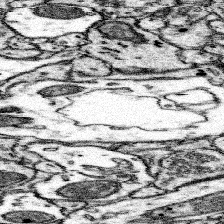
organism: Mouse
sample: Somatosensory cortex neuropil